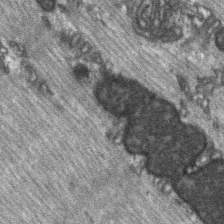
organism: C57BL Mouse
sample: Soleus